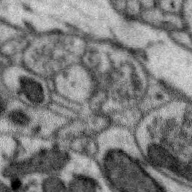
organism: Zebra finch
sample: Brain